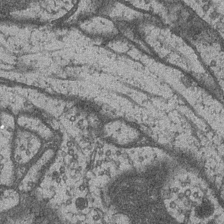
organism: Drosophila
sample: Optic medulla